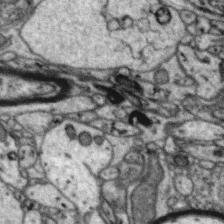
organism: Zebra finch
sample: Brain